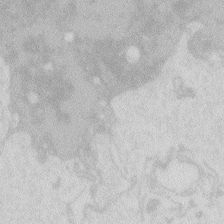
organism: Zebrafish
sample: Macrophage